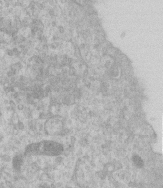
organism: Human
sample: Centriole in RPE cells